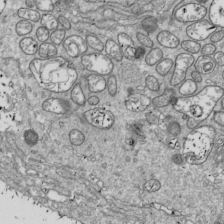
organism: Drosophila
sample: Cell division; meiosis; drosophila spermatocytes